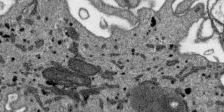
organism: Human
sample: Lung epithelial cells, uninfected (mock) control